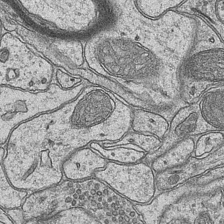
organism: Mouse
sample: CA1 Hippocampus